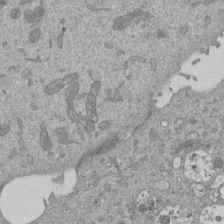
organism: Mouse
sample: ED-1 cell nuclei; centrioles